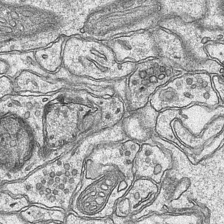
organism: Mouse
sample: CA1 Hippocampus